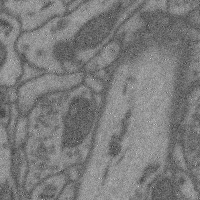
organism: Mouse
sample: Cerebral cortex